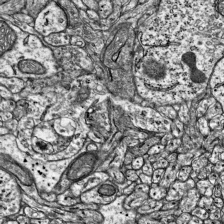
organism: Mouse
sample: Visual Cortex